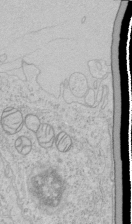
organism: Human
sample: Mitochondria in HCT116 cells